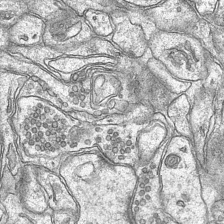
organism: Mouse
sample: CA1 Hippocampus